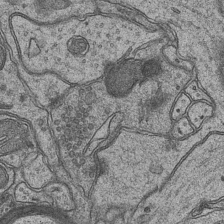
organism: Mouse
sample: CA1 Hippocampus